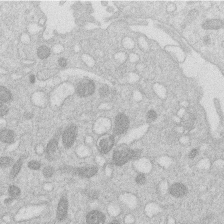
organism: Human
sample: Macrophage cells